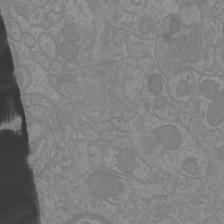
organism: Mouse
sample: Cortical neurons